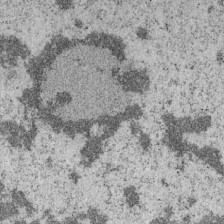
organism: Mouse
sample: OT-I killer T cells with ID8 ovarian cancer cells